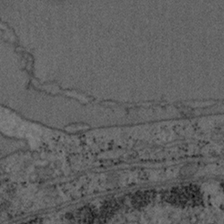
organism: Human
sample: HeLa cells